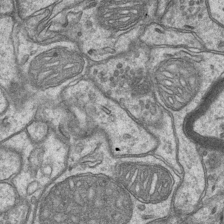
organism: Mouse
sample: CA1 Hippocampus